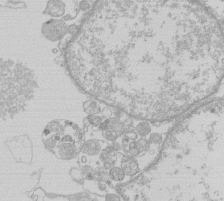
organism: Human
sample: Macrophage cells